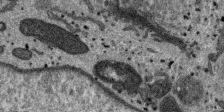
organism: Human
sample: Lung epithelial cells, uninfected (mock) control